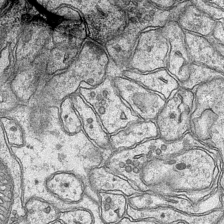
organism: Mouse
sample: CA1 Hippocampus